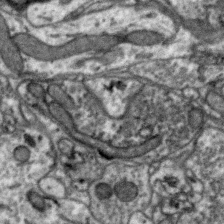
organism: Zebra finch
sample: Brain